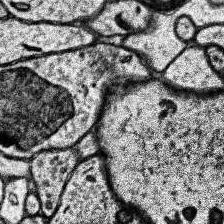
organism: Human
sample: Temporal Lobe